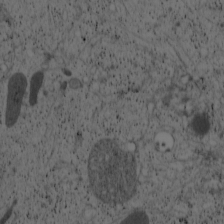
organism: African green monkey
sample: COS-7 cells